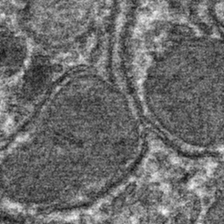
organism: Mouse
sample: Mouse hepatocytes